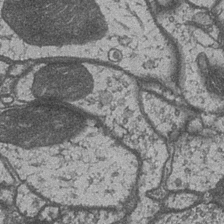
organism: Drosophila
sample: Optic medulla